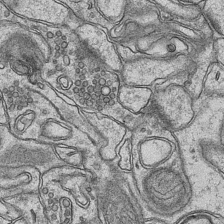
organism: Mouse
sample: CA1 Hippocampus